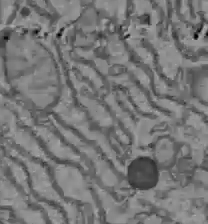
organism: C57BL Mouse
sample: Liver